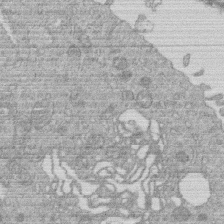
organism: Human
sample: Macrophage cells